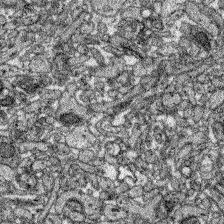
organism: Zebrafish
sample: Larval olfactory bulb